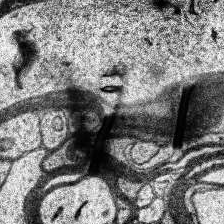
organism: Human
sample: Temporal Lobe